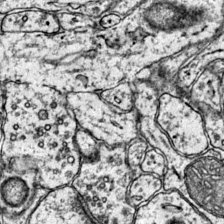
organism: Mouse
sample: Primary visual cortex